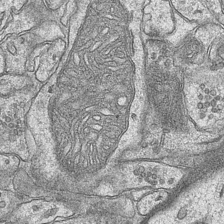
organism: Mouse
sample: CA1 Hippocampus